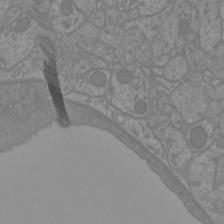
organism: Mouse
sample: Cortical neurons